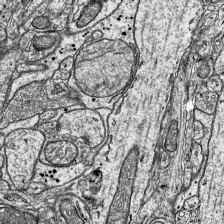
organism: Mouse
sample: Visual Cortex